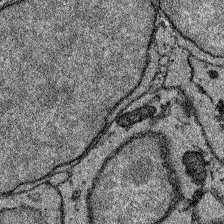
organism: Zebrafish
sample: Larval olfactory bulb